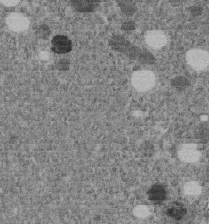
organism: C. elegans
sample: C. elegans embryo early stage